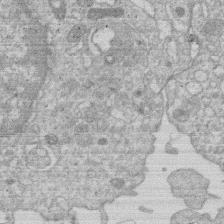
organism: Human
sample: Macrophage cells